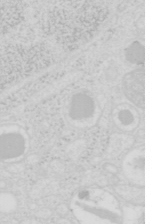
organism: Mouse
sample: Pancreas